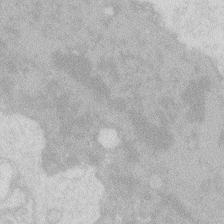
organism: Zebrafish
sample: Macrophage